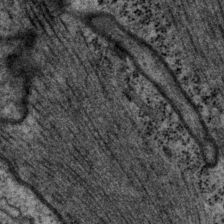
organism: P. pacificus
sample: Pharynx